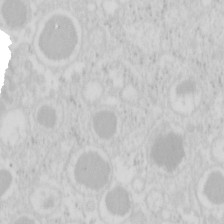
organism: Mouse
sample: Pancreas